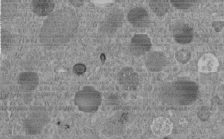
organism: C. elegans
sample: C. elegans embryo early stage